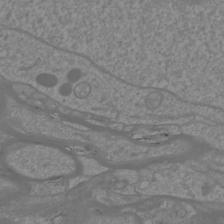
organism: Mouse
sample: Cortical neurons